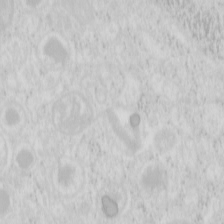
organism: Mouse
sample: Pancreas